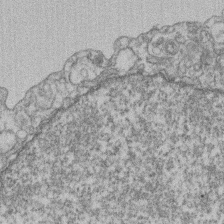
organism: Mouse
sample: T cell stromal cell synapse